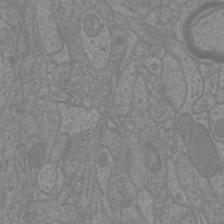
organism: Mouse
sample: Cortical neurons